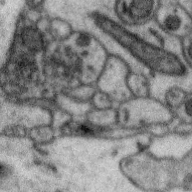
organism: Zebra finch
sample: Brain